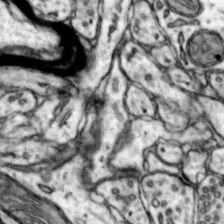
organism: Mouse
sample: Nucleus accumbens